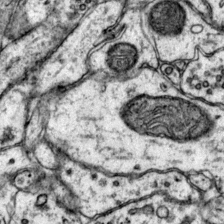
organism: Mouse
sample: Primary visual cortex